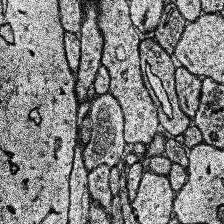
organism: Human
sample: Temporal Lobe